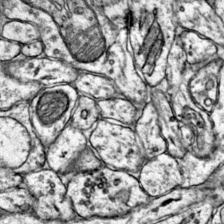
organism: Mouse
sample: Primary visual cortex